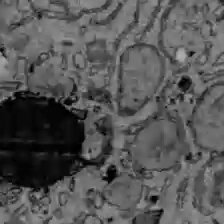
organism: C57BL Mouse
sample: Liver